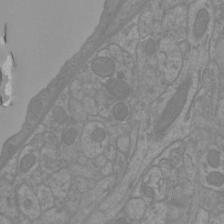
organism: Mouse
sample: Cortical neurons